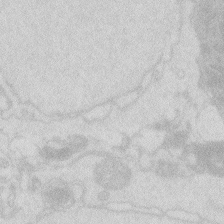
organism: Zebrafish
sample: Macrophage